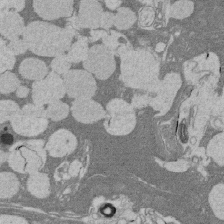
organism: Rat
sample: Salivary granule